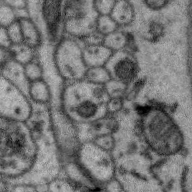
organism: Zebra finch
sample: Brain